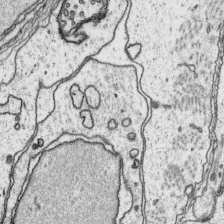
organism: Platynereis dumerilii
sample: Parapodia